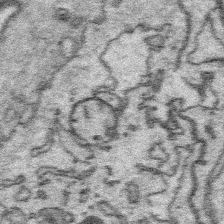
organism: Platynereis dumerilii